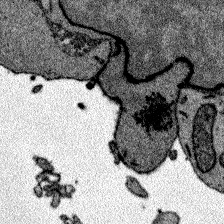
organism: Zebrafish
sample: Larval olfactory bulb